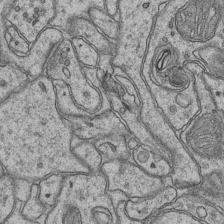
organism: Mouse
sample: CA1 Hippocampus